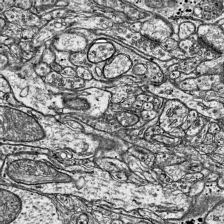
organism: Mouse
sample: Visual Cortex